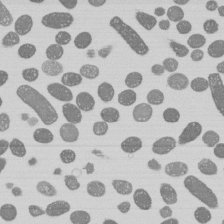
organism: E. coli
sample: Bacterial nucleoid